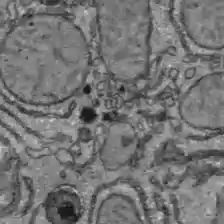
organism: C57BL Mouse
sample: Liver